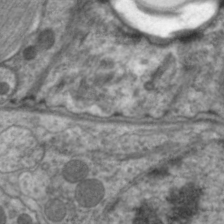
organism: C. elegans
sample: Pharynx